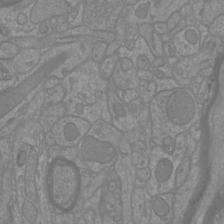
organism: Mouse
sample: Cortical neurons